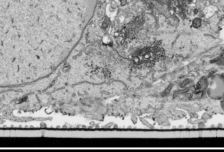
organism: Human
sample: Mitochondria in HCT116 cells